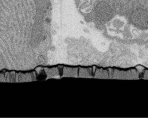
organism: Rat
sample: Salivary granule